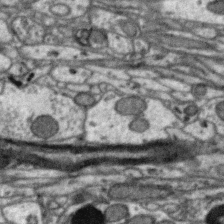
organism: Zebra finch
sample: Brain